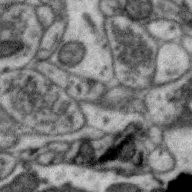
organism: Zebra finch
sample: Brain